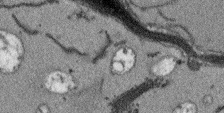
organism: Arabidopsis thaliana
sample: Root tip